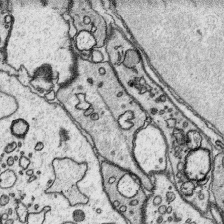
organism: Platynereis dumerilii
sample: Parapodia